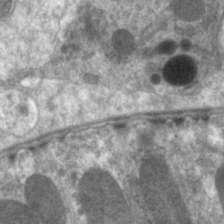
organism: C. elegans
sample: Pharynx